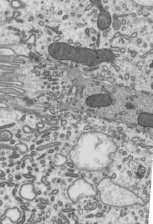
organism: Mouse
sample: Mouse epididymis efferent ductule cilia